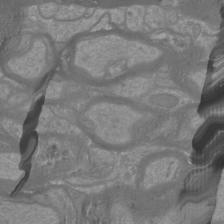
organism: Mouse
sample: Cortical neurons